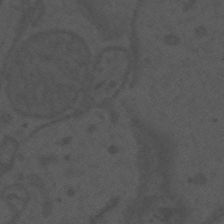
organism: Mouse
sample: Suprachiasmatic nucleus